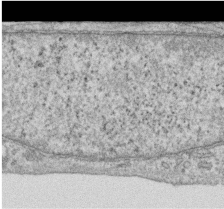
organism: Human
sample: Centriole in RPE cells